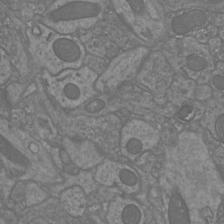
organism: Mouse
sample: Cortical neurons